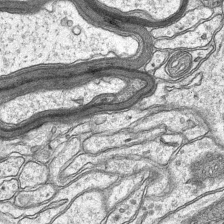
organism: Mouse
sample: CA1 Hippocampus